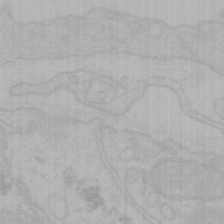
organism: Mouse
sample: Choroid plexus